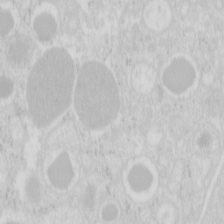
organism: Mouse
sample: Pancreas